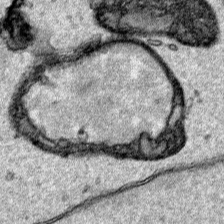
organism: Human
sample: Mitochondria in HCT116 cells